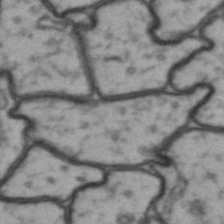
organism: Drosophila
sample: Brain